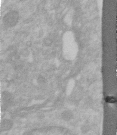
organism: Human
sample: Centriole in RPE cells